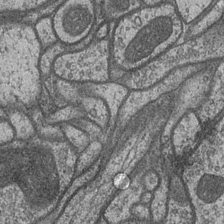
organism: Drosophila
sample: Optic medulla